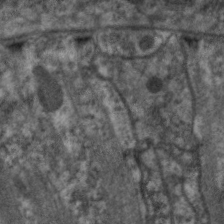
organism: C. elegans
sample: Pharynx